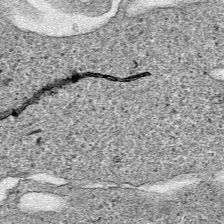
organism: Human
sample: Mitochondria in HCT116 cells